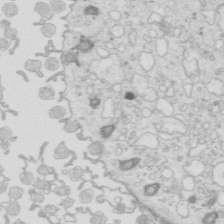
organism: Mouse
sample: Multiciliated cells